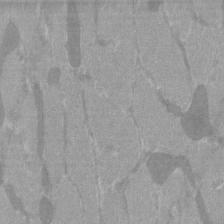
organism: C57BL Mouse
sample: Tibialis anterior muscle cell